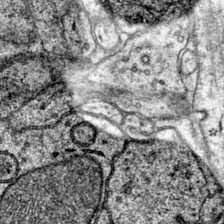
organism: Mouse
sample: Primary visual cortex